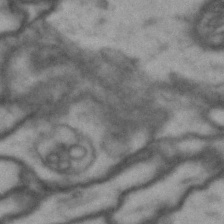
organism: Drosophila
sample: Brain